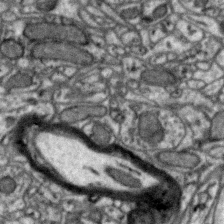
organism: Zebra finch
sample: Brain